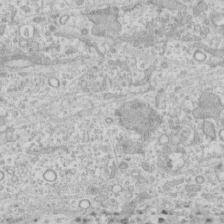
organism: Human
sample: CRL-1474